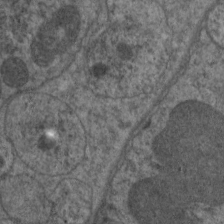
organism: C. elegans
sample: Pharynx